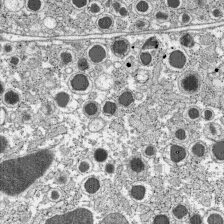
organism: C57BL Mouse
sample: Pancreatic islet